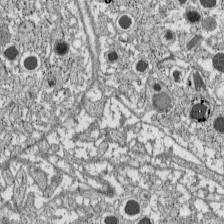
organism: C57BL Mouse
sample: Pancreatic islet